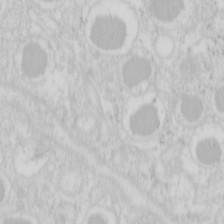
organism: Mouse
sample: Pancreas